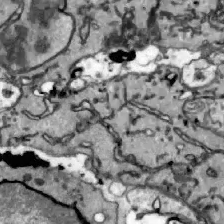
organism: Zebrafish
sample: Actinotrichia fibers